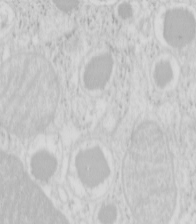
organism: Mouse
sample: Pancreas